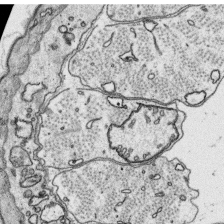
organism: Platynereis dumerilii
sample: Parapodia